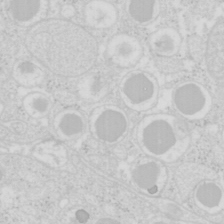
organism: Mouse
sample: Pancreas